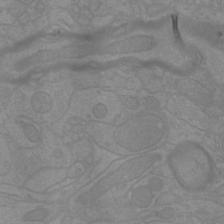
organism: Mouse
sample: Cortical neurons